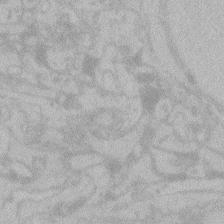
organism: Zebrafish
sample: Macrophage infected with Toxoplasma gondii